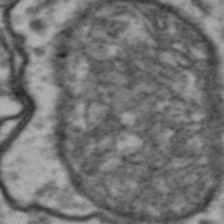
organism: Drosophila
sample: Brain